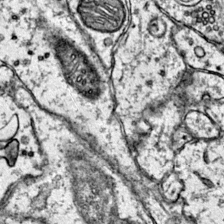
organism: Mouse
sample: Primary visual cortex